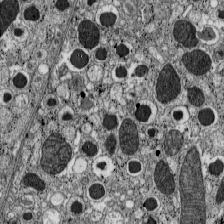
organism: C57BL Mouse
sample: Pancreatic islet